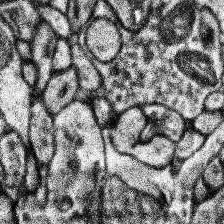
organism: Human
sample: Temporal Lobe